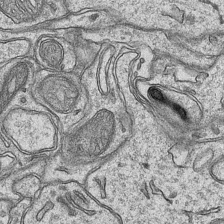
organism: Mouse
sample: CA1 Hippocampus